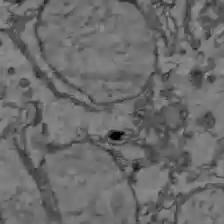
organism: C57BL Mouse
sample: Liver